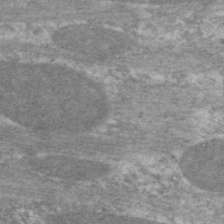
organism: C. elegans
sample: Pharynx